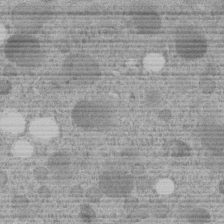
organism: C. elegans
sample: C. elegans embryo early stage